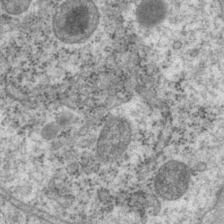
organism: P. pacificus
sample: Pharynx